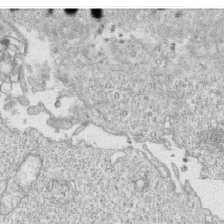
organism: Human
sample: HeLa cell HIV synapse